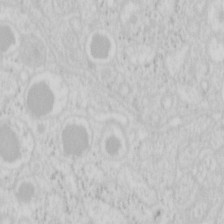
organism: Mouse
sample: Pancreas